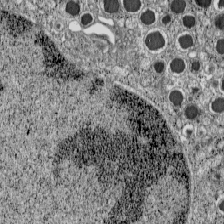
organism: C57BL Mouse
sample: Pancreatic islet